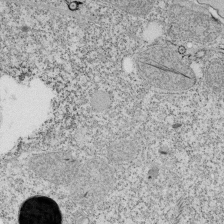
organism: Tetrahymena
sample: Cilia in tetrahymena